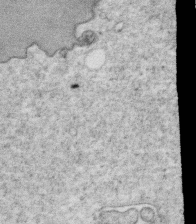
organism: C. elegans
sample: C. elegans oocyte; sperm cells